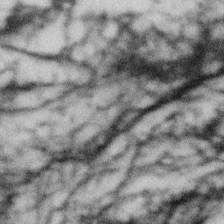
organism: Gemmata obscuriglobus